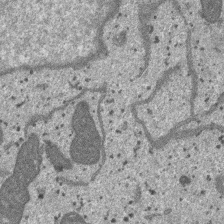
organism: Human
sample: Lung epithelial cells infected with SARS-CoV-2